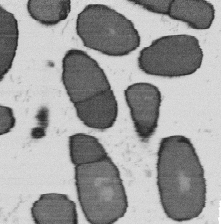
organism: B. subtilis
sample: Bacterial spore